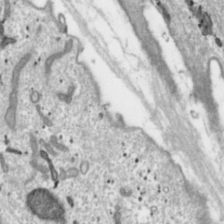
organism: Toxoplasma gondii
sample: Parasites in a vacuole inside a host cell